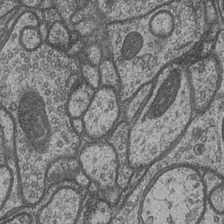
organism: Drosophila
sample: Optic medulla